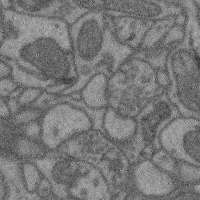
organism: Mouse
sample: Cerebral cortex